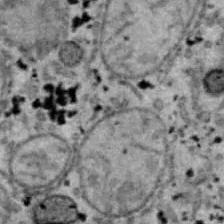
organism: Mouse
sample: Liver from an obese (ob/ob) mouse